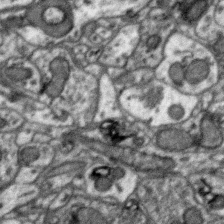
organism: Zebra finch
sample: Brain